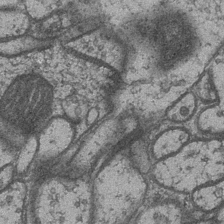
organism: Drosophila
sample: Optic medulla